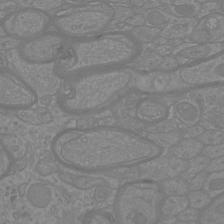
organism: Mouse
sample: Cortical neurons